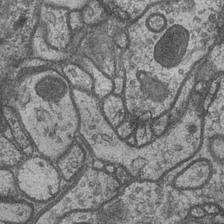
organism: Drosophila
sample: Optic medulla